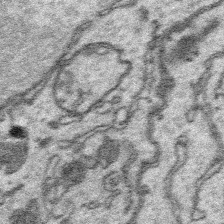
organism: Platynereis dumerilii